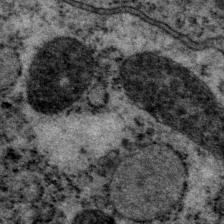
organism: P. pacificus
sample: Pharynx